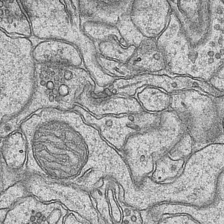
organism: Mouse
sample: CA1 Hippocampus